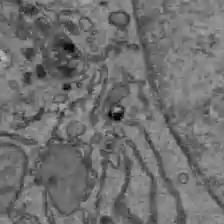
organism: C57BL Mouse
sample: Liver